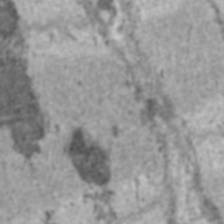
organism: C57BL Mouse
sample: Heart